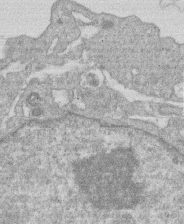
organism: Human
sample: Macrophage cells